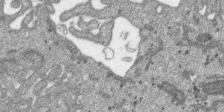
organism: Human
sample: Lung epithelial cells infected with SARS-CoV-2